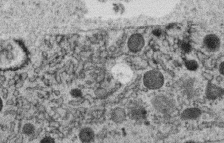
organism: C. elegans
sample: C. elegans oocyte; sperm cells